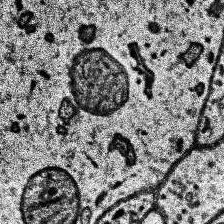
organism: Human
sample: Temporal Lobe